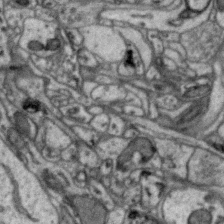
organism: Zebra finch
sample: Brain